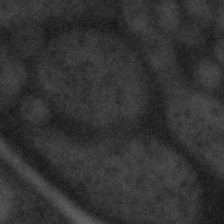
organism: Tuwongella immobilis